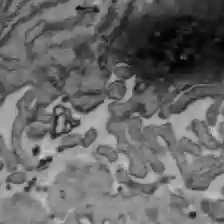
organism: C57BL Mouse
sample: Liver